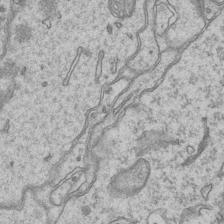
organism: Mouse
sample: CA1 Hippocampus